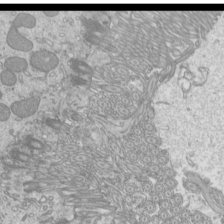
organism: Mouse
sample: Cilia; mouse epididymis